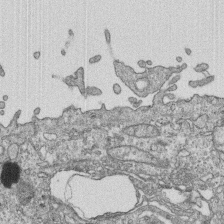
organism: Human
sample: HeLa cell HIV synapse